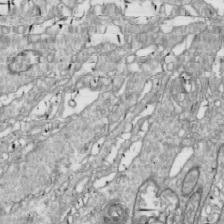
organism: Drosophila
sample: Cell division; meiosis; drosophila spermatocytes